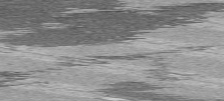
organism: C57BL Mouse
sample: Heart